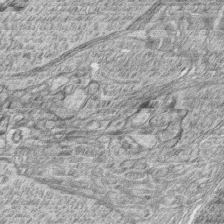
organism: Zebrafish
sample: synaptic ribbons in rod cells and cone cells